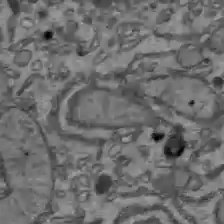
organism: C57BL Mouse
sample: Liver